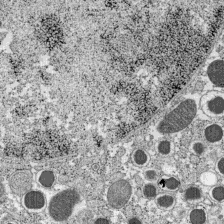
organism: C57BL Mouse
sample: Pancreatic islet